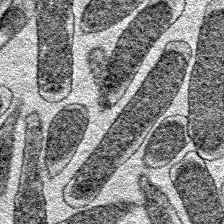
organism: E. coli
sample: E. Coli Bacteria